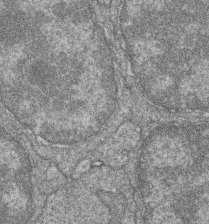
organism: Zebrafish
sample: Cilia; retinal pigment epithelium